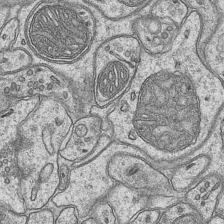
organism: Mouse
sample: CA1 Hippocampus